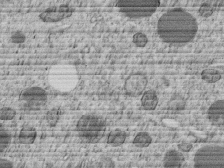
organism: C. elegans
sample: C. elegans embryo early stage